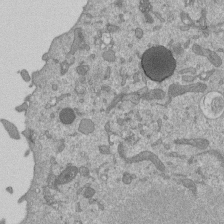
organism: Mouse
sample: ED-1 cell nuclei; centrioles